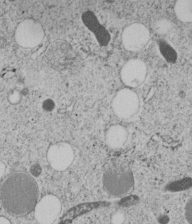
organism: C. elegans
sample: C. elegans embryo early stage